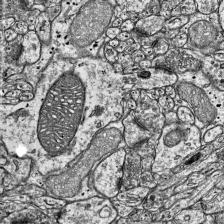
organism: Mouse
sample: Visual Cortex